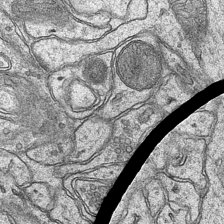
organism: Mouse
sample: CA1 Hippocampus